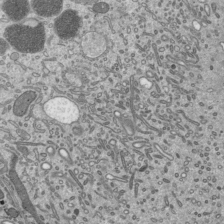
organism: Mouse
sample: Mouse epididymis efferent ductule cilia